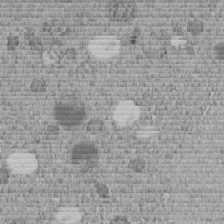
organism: C. elegans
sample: C. elegans embryo early stage